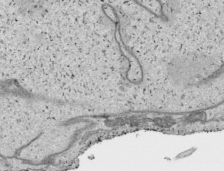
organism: Human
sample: Mitochondria in HCT116 cells